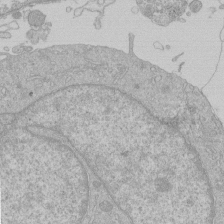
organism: Human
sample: Macrophage cells